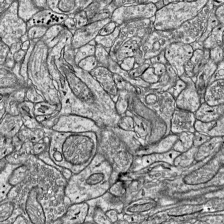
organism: Mouse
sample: Visual Cortex